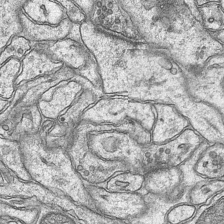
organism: Mouse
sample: CA1 Hippocampus